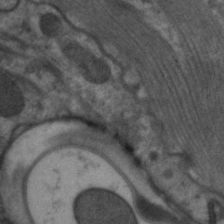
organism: C. elegans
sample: Pharynx